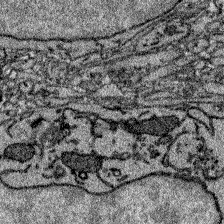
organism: Zebrafish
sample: Larval olfactory bulb